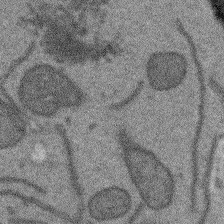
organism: Arabidopsis thaliana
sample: Root tip